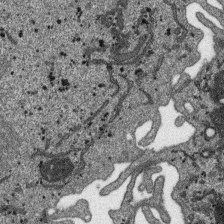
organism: Human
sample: Lung epithelial cells infected with SARS-CoV-2